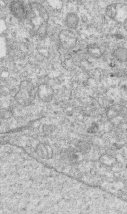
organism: Human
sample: HeLa cell HIV synapse